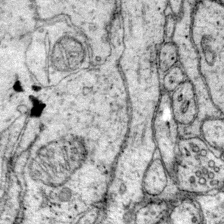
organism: Mouse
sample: Primary visual cortex